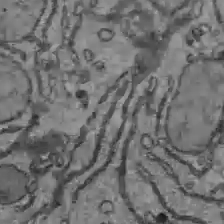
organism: C57BL Mouse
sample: Liver